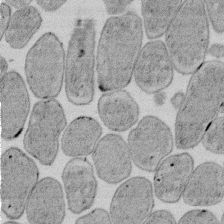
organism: E. coli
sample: Bacterial nucleoid